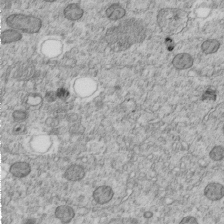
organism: C. elegans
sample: C. elegans embryo early stage